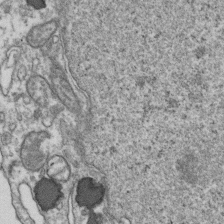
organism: Human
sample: Activated Jurkat CD4+ T cells